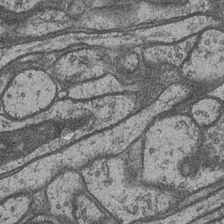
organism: Drosophila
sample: Optic medulla